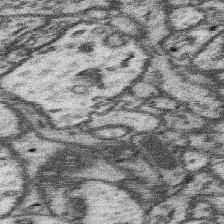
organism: Mouse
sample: Somatosensory cortex neuropil